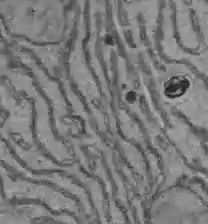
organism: C57BL Mouse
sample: Liver